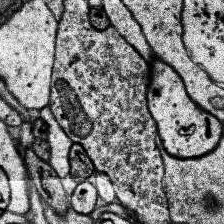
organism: Human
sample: Temporal Lobe